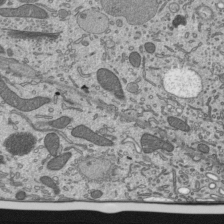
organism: Mouse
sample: Mouse epididymis efferent ductule cilia